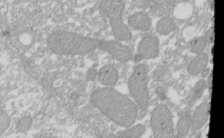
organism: Xenopus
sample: Cilia; centrioles in frog embryo cells